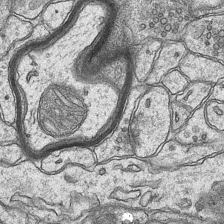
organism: Mouse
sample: CA1 Hippocampus